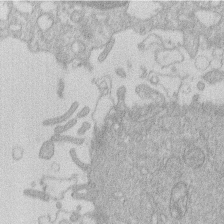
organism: Human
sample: Macrophage cells